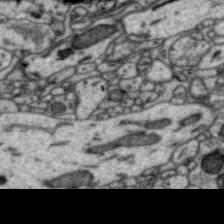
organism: Zebra finch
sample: Brain